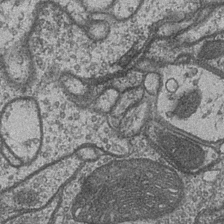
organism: Drosophila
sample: Optic medulla